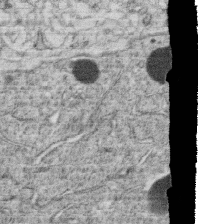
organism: C. elegans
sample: C. elegans oocyte; sperm cells